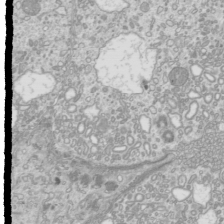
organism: Mouse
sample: Cilia; mouse epididymis